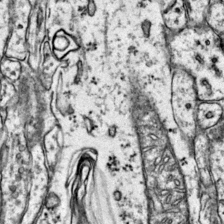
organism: Mouse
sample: Primary visual cortex